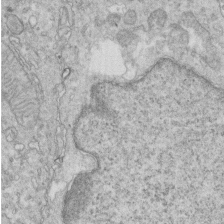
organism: Mouse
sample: Multiciliated cells